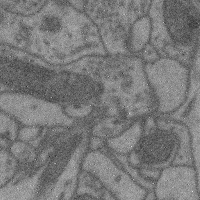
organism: Mouse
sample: Cerebral cortex